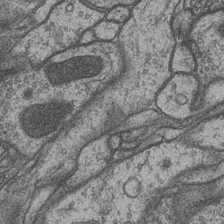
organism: Drosophila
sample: Optic medulla